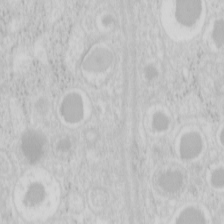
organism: Mouse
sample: Pancreas